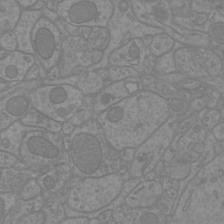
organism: Mouse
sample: Cortical neurons